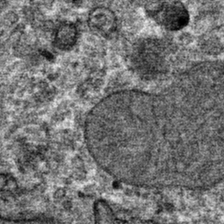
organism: Mouse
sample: Mouse hepatocytes